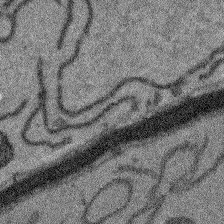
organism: Arabidopsis thaliana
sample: Root tip